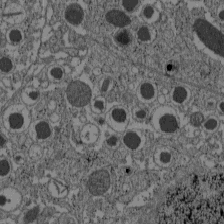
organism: C57BL Mouse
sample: Pancreatic islet